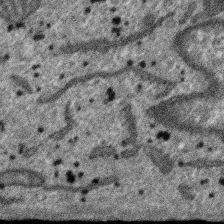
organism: Human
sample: Lung epithelial cells infected with SARS-CoV-2